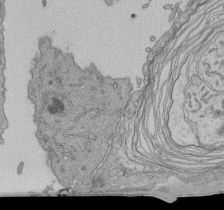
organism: Human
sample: Retinal organoid Rod and Cone cells